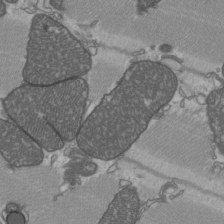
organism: C57BL Mouse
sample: Heart